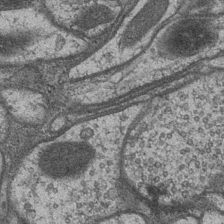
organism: Drosophila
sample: Optic medulla